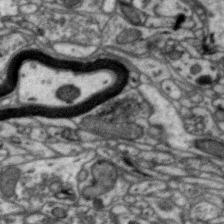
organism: Zebra finch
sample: Brain